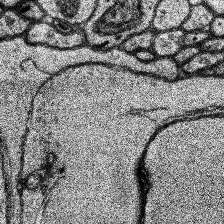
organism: Human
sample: Temporal Lobe